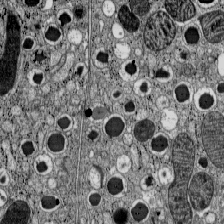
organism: C57BL Mouse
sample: Pancreatic islet